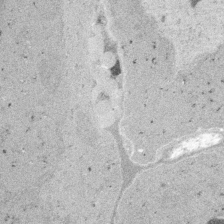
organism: Embia sp.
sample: Silk gland